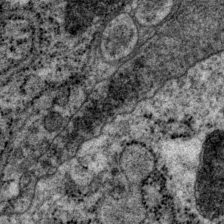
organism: P. pacificus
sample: Pharynx